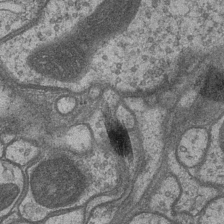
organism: Drosophila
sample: Optic medulla